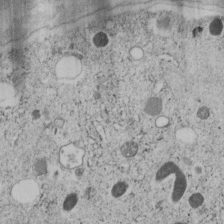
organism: C. elegans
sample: C. elegans embryo early stage